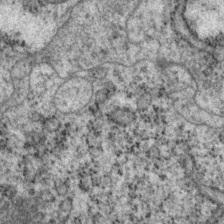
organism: P. pacificus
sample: Pharynx